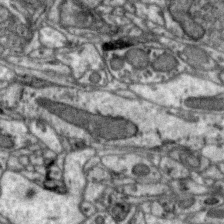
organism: Zebra finch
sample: Brain